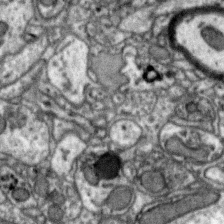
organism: Zebra finch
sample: Brain